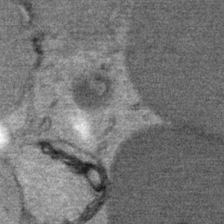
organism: Mouse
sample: Mouse Salivary gland